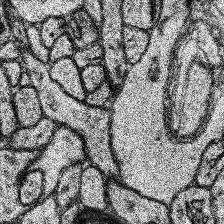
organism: Human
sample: Temporal Lobe